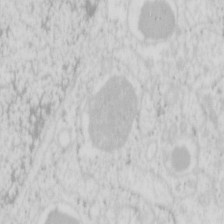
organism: Mouse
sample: Pancreas